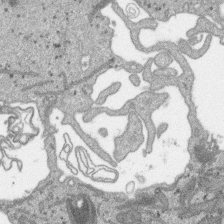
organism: Human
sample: Lung epithelial cells infected with SARS-CoV-2